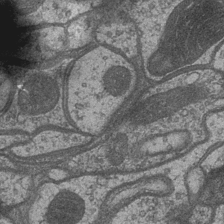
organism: Drosophila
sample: Optic medulla